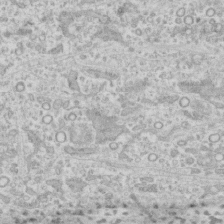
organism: Human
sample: CRL-1474